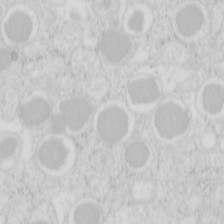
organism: Mouse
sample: Pancreas